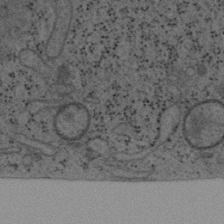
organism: Human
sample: HeLa cells